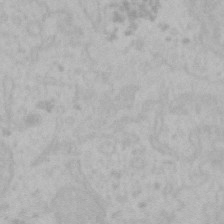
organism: Mouse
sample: Choroid plexus